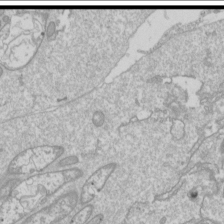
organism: Drosophila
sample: Cell division; meiosis; drosophila spermatocytes